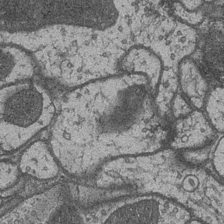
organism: Drosophila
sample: Optic medulla